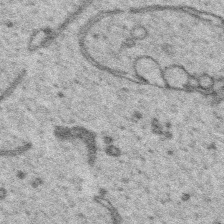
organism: Platynereis dumerilii